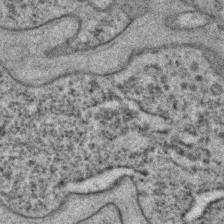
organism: C. elegans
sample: C. elegans embryo